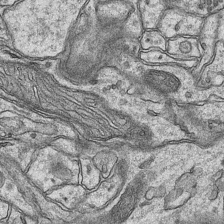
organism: Mouse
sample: CA1 Hippocampus